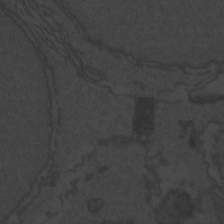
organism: Zebrafish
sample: Macrophage infected with Toxoplasma gondii